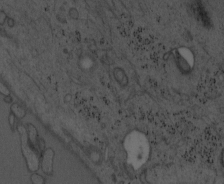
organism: Mouse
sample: OT-I killer T cells with ID8 ovarian cancer cells